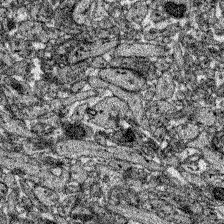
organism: Zebrafish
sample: Larval olfactory bulb